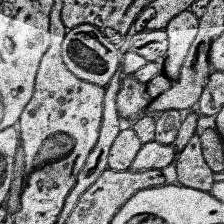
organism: Human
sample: Temporal Lobe